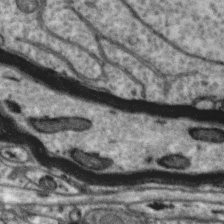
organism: Zebra finch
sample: Brain